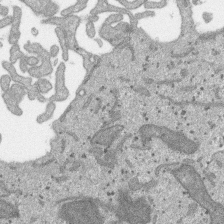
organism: Human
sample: Lung epithelial cells infected with SARS-CoV-2